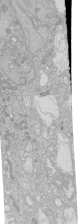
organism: Human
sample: Caco-2 cells